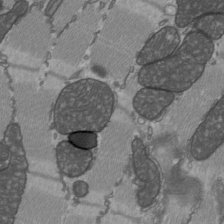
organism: C57BL Mouse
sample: Heart